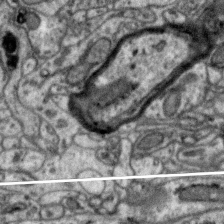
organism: Zebra finch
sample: Brain